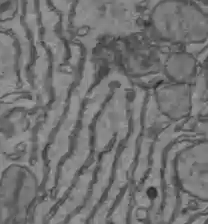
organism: C57BL Mouse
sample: Liver